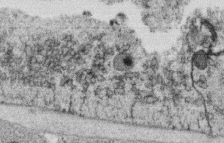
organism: C. elegans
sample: C. elegans oocyte; sperm cells